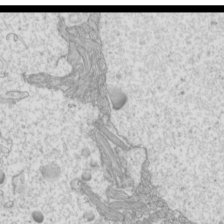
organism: Mouse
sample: Cilia; mouse epididymis